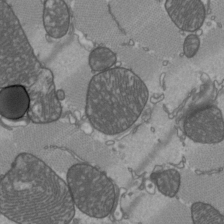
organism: C57BL Mouse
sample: Heart